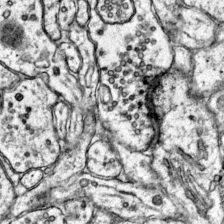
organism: Mouse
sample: Primary visual cortex